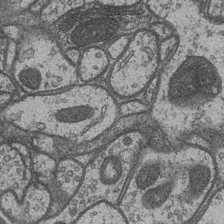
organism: Drosophila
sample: Optic medulla